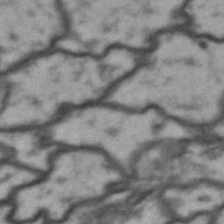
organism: Drosophila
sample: Brain